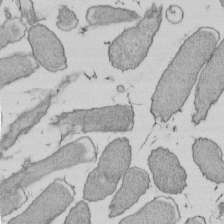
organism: E. coli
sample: Bacterial nucleoid